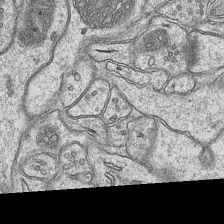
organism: Mouse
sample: CA1 Hippocampus